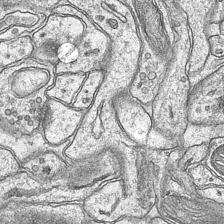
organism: Mouse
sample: CA1 Hippocampus